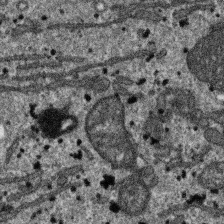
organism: Human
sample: Lung epithelial cells infected with SARS-CoV-2